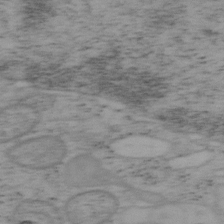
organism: Mouse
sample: OT-I killer T cells with ID8 ovarian cancer cells